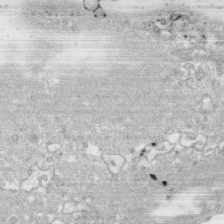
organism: Human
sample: CRL-1474